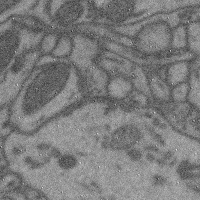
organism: Mouse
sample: Cerebral cortex